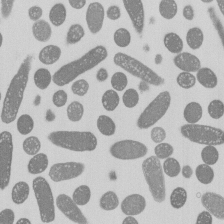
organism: E. coli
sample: Bacterial nucleoid